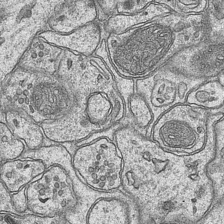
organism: Mouse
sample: CA1 Hippocampus